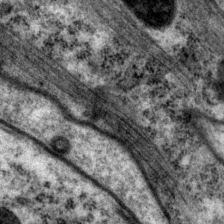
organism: P. pacificus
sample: Pharynx